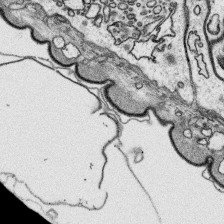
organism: Platynereis dumerilii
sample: Parapodia